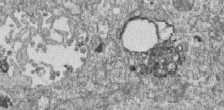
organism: Human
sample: HeLa cell HIV synapse